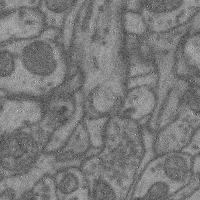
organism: Mouse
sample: Cerebral cortex